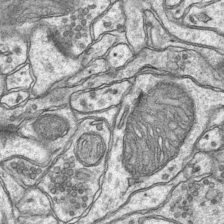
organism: Mouse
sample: CA1 Hippocampus